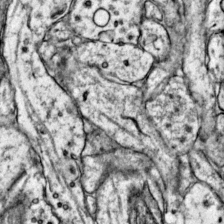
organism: Mouse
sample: Primary visual cortex